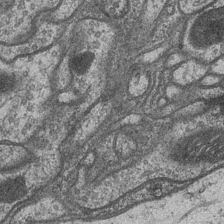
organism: Drosophila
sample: Optic medulla